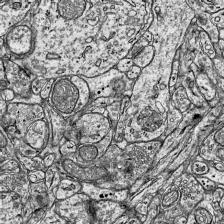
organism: Mouse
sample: Visual Cortex